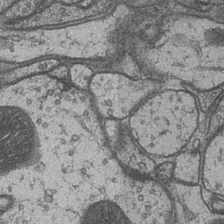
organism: Drosophila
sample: Optic medulla